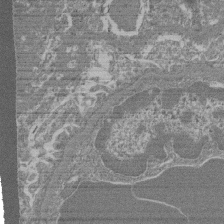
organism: Mouse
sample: Glomerulus